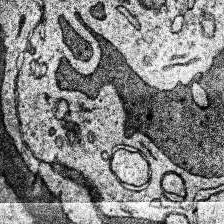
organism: Human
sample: Temporal Lobe